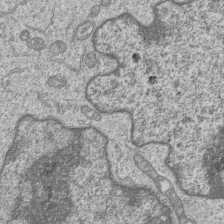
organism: Human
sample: MDA-MB-231 cells